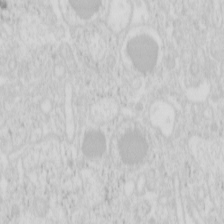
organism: Mouse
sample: Pancreas